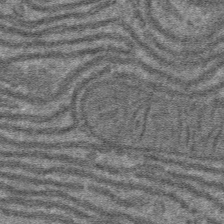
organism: Mouse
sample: Mouse hepatocytes